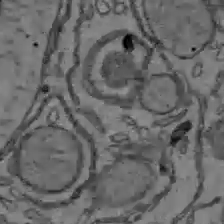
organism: C57BL Mouse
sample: Liver